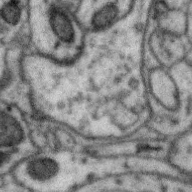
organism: Zebra finch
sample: Brain